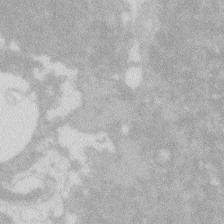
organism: Zebrafish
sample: Macrophage